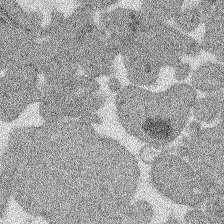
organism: Human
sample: HeLa cells